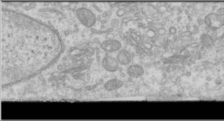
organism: Human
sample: Cilia; basal body in RPE cells